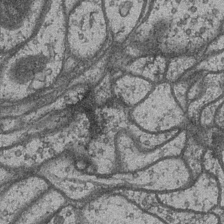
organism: Drosophila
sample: Optic medulla